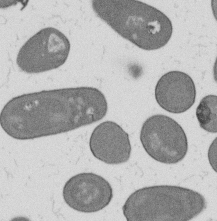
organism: B. subtilis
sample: Bacterial spore